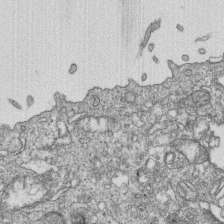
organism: Human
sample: HeLa cell HIV synapse